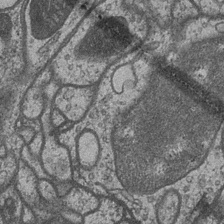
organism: Drosophila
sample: Optic medulla